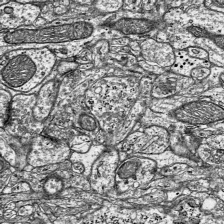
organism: Mouse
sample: Visual Cortex